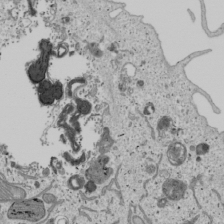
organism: Human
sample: Mitochondria in U2OS cells